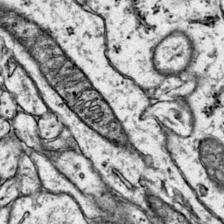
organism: Mouse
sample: Primary visual cortex